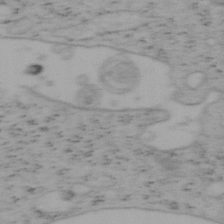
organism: Mouse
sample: OT-I killer T cells with ID8 ovarian cancer cells